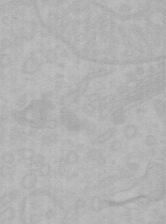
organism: Mouse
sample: Choroid plexus